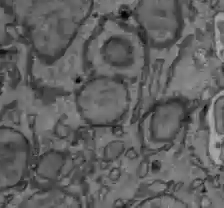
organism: C57BL Mouse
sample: Liver